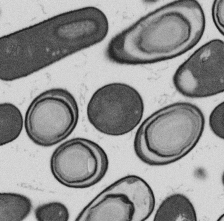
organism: B. subtilis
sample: Bacterial spore